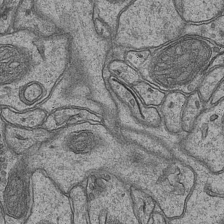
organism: Mouse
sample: CA1 Hippocampus